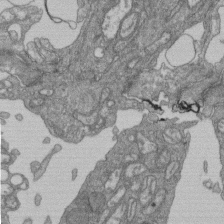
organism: Human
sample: Retinal organoid Rod and Cone cells